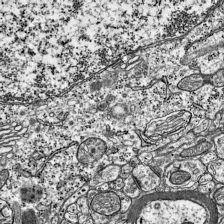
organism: Mouse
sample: Visual Cortex